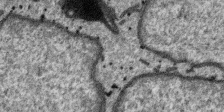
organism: Human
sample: Lung epithelial cells, uninfected (mock) control